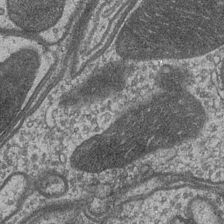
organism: Drosophila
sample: Optic medulla